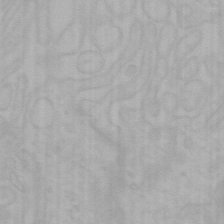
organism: Mouse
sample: Choroid plexus